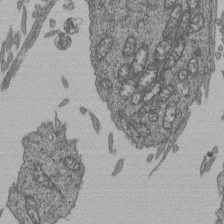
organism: Human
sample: Retinal organoid Rod and Cone cells